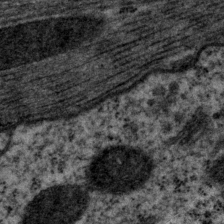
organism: P. pacificus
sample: Pharynx